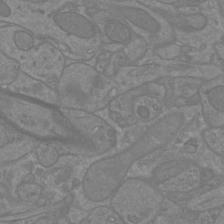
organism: Mouse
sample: Cortical neurons